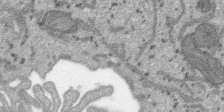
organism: Human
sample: Lung epithelial cells infected with SARS-CoV-2